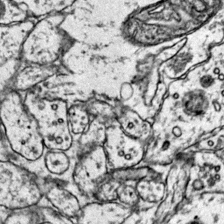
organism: Mouse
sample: Primary visual cortex